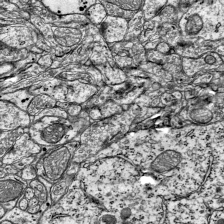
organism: Mouse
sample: Visual Cortex